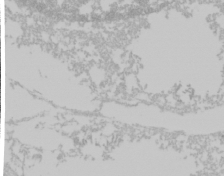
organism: Mouse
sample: Cancer cell death in ED-1 cells